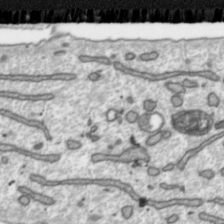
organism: Toxoplasma gondii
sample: Parasites in a vacuole inside a host cell